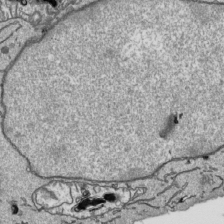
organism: Human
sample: Mitochondria in HCT116 cells